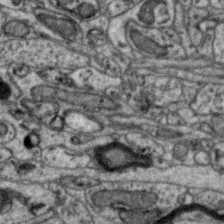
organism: Zebra finch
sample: Brain